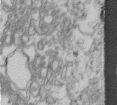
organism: Human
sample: Centriole in fibroblast cells